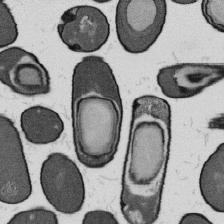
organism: B. subtilis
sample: Bacterial spore